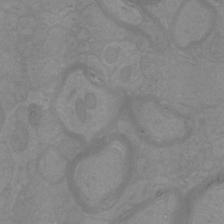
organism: Mouse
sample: Cortical neurons